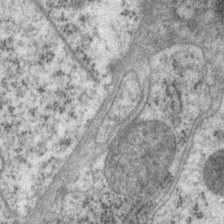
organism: P. pacificus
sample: Pharynx